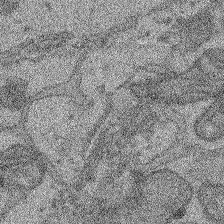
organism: Human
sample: HeLa cells